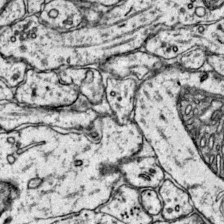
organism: Mouse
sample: Primary visual cortex